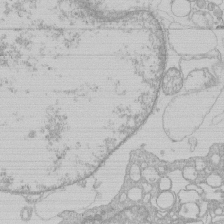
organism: Human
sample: Macrophage cells